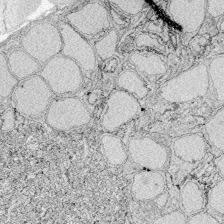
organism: Zebrafish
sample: Whole-Brain